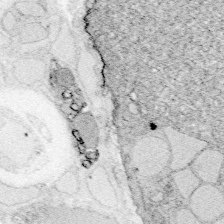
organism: Zebrafish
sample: Whole-Brain